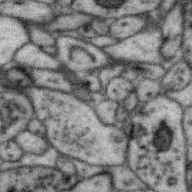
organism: Zebra finch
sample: Brain